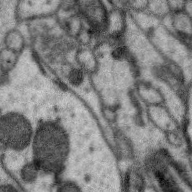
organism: Zebra finch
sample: Brain